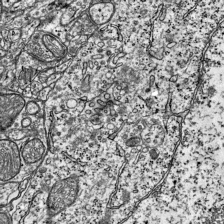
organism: Mouse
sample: Visual Cortex